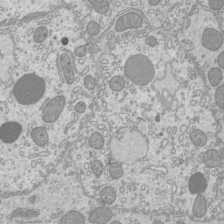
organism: Mouse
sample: Cilia; mouse epididymis